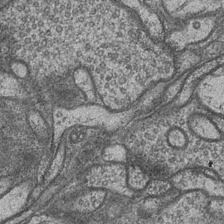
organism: Drosophila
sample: Optic medulla